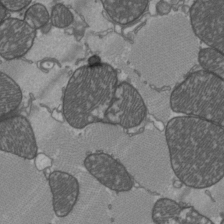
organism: C57BL Mouse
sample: Heart